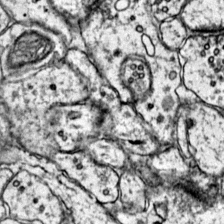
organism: Mouse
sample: Primary visual cortex